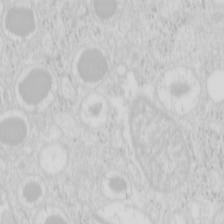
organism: Mouse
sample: Pancreas